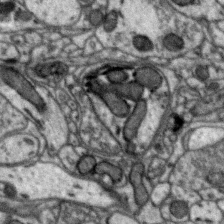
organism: Zebra finch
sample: Brain